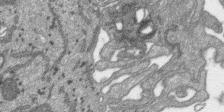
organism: Human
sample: Lung epithelial cells infected with SARS-CoV-2